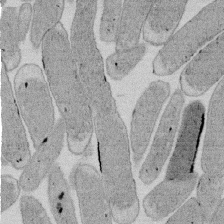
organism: E. coli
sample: Bacterial nucleoid